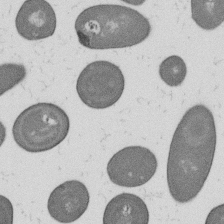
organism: B. subtilis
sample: Bacterial spore